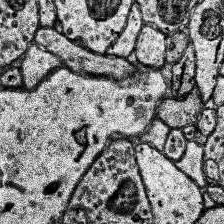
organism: Human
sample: Temporal Lobe